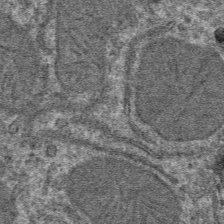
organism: Mouse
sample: Mouse hepatocytes